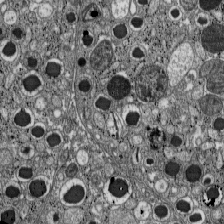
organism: C57BL Mouse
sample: Pancreatic islet